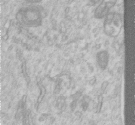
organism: Human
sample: Centriole in RPE cells